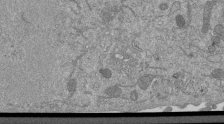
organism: Mouse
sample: ED-1 cell nuclei; centrioles